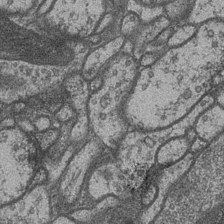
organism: Drosophila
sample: Optic medulla